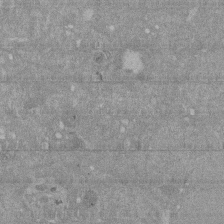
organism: Mouse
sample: ED-1 cell nuclei; centrioles